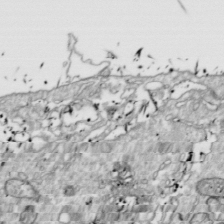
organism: Drosophila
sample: Cell division; meiosis; drosophila spermatocytes